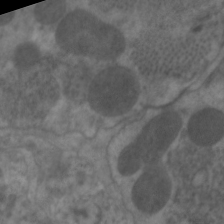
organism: C. elegans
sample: Pharynx